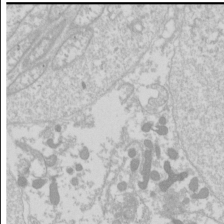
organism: Drosophila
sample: Cell division; meiosis; drosophila spermatocytes